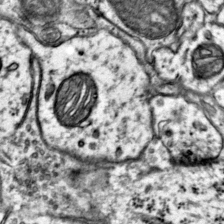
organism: Mouse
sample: Primary visual cortex